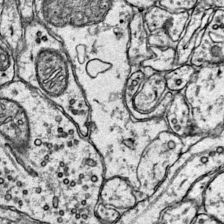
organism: Mouse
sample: Primary visual cortex